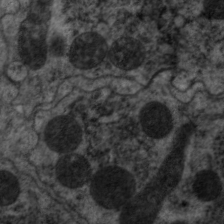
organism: C. elegans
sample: Pharynx